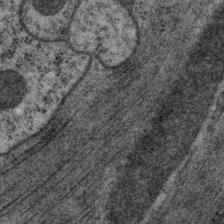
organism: P. pacificus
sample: Pharynx